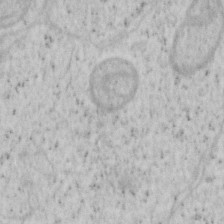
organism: Human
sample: HeLa cells